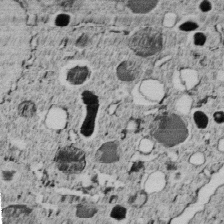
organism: C. elegans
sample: C. elegans embryo early stage